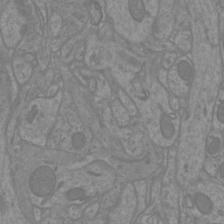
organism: Mouse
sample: Cortical neurons